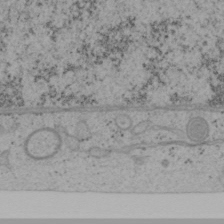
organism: Human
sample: HeLa cells